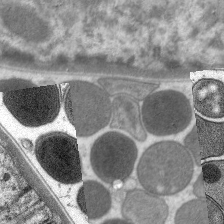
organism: C. elegans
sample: Pharynx